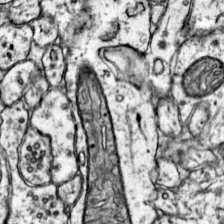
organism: Mouse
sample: Primary visual cortex